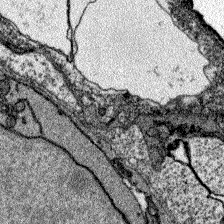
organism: Zebrafish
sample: Larval olfactory bulb